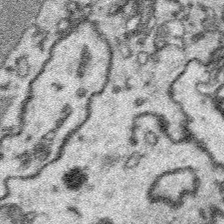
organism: Platynereis dumerilii